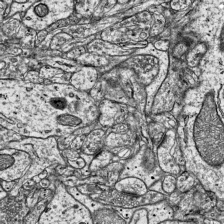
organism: Mouse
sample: Visual Cortex